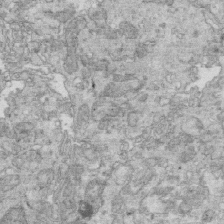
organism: Mouse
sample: Multiciliated cells